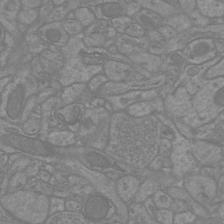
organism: Mouse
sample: Cortical neurons